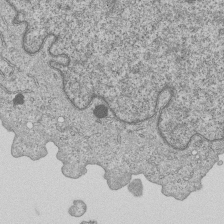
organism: Human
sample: MDA-MB-231 cells